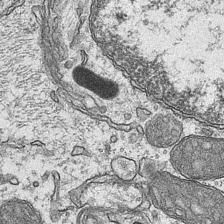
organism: Mouse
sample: CA1 Hippocampus